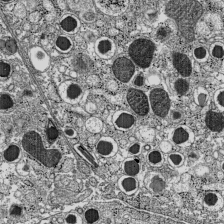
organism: C57BL Mouse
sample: Pancreatic islet